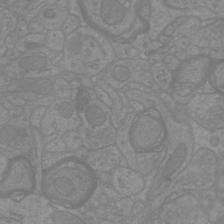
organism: Mouse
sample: Cortical neurons